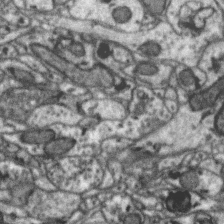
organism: Zebra finch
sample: Brain